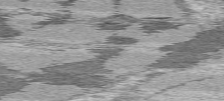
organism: C57BL Mouse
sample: Heart